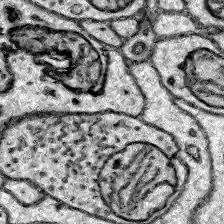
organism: Zebrafish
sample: Brain